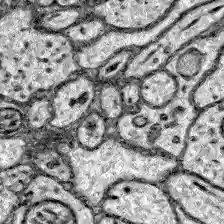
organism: Zebrafish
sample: Brain